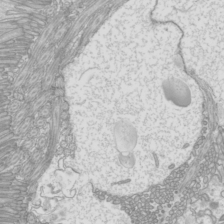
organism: Mouse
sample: Cilia; mouse epididymis